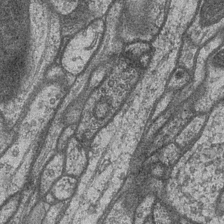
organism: Drosophila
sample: Optic medulla